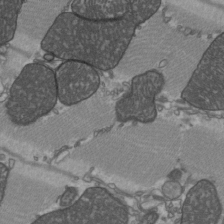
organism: C57BL Mouse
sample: Heart